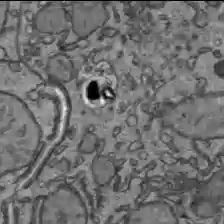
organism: C57BL Mouse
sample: Liver